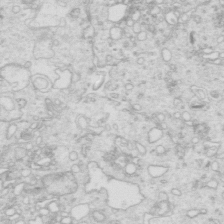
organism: Mouse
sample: Multiciliated cells